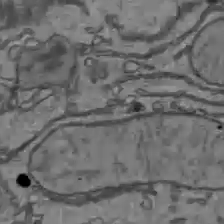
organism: C57BL Mouse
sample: Liver